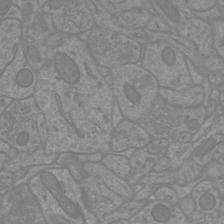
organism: Mouse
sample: Cortical neurons